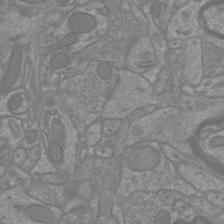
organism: Mouse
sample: Cortical neurons